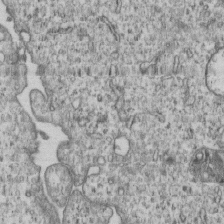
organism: Human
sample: MDA-MB-231 cells